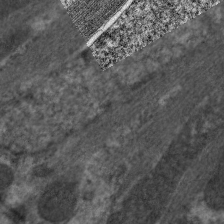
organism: C. elegans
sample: Pharynx